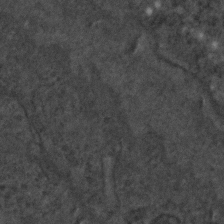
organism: C. elegans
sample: C. elegans embryo